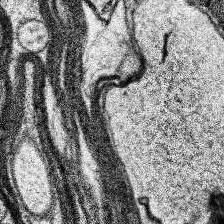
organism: Human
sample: Temporal Lobe